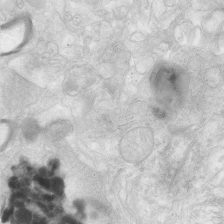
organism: Human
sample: Neocortex